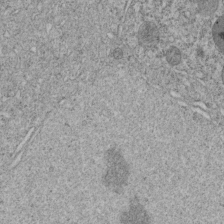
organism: C. elegans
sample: C. elegans embryo early stage